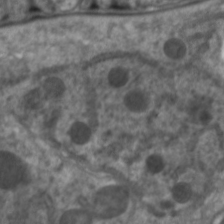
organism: C. elegans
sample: Pharynx